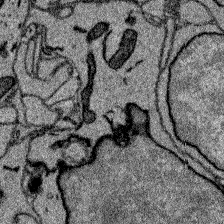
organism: Zebrafish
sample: Larval olfactory bulb